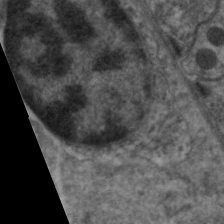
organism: C. elegans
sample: Pharynx